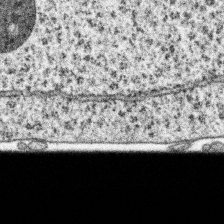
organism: Human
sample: HeLa cells